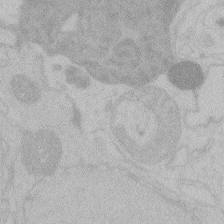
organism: Zebrafish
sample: Macrophage infected with Toxoplasma gondii